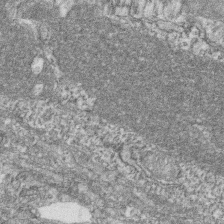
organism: Zebrafish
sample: Cilia; retinal pigment epithelium